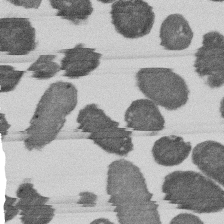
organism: E. coli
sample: Bacterial nucleoid